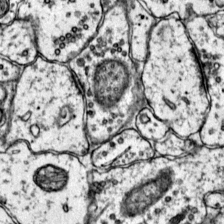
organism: Mouse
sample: Primary visual cortex